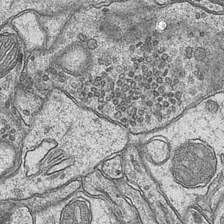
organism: Mouse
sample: CA1 Hippocampus